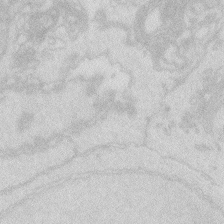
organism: Zebrafish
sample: Macrophage